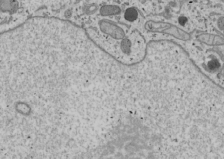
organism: Human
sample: Mitochondria in U2OS cells